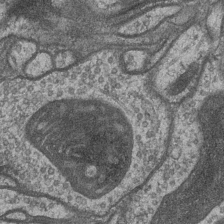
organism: Drosophila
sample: Optic medulla